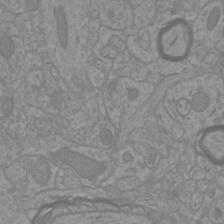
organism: Mouse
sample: Cortical neurons